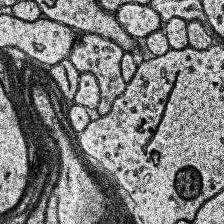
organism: Human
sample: Temporal Lobe